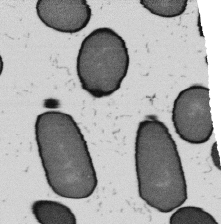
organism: B. subtilis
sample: Bacterial spore